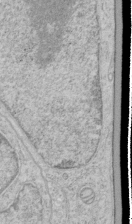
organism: Human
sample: Mitochondria in HCT116 cells